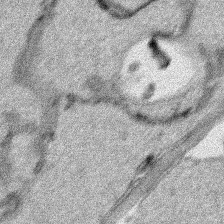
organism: Human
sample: Mitochondria in HCT116 cells